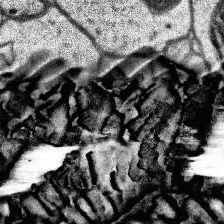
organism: Human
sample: Temporal Lobe